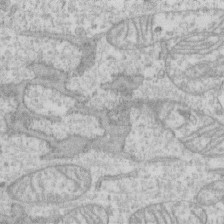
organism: Human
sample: CRL-1474